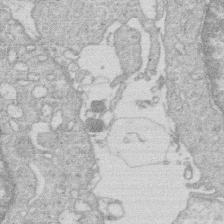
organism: Human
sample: Macrophage cells